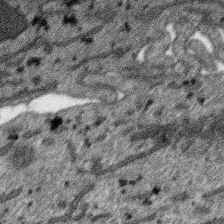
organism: Human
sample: Lung epithelial cells infected with SARS-CoV-2